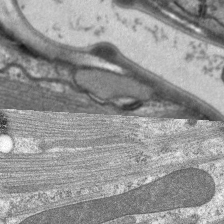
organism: C. elegans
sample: Pharynx